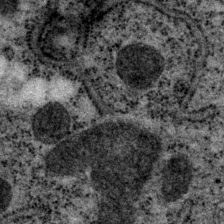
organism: P. pacificus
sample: Pharynx